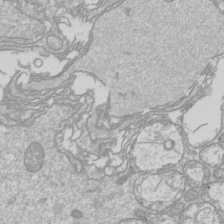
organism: Drosophila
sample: Cell division; meiosis; drosophila spermatocytes